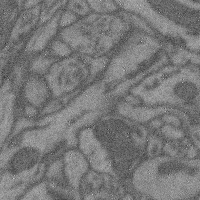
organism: Mouse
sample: Cerebral cortex